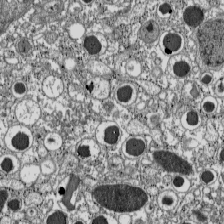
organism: C57BL Mouse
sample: Pancreatic islet